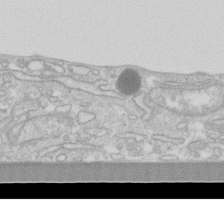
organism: Human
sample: Fibroblast cells